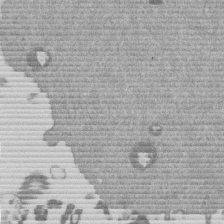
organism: Mouse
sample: Dividing mouse embryo 1 cell stage